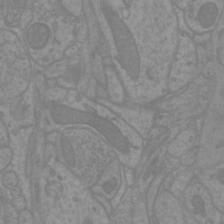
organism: Mouse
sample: Cortical neurons